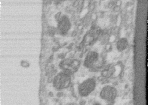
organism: Human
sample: Centriole in RPE cells